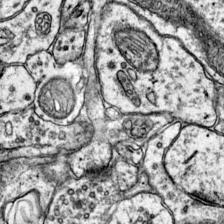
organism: Mouse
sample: Primary visual cortex